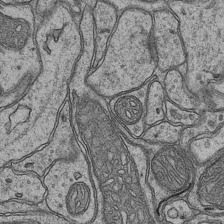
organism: Mouse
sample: CA1 Hippocampus